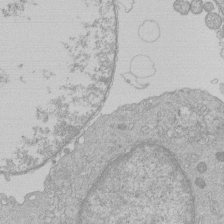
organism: Human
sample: Macrophage cells